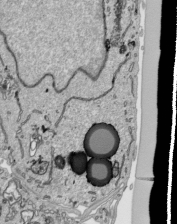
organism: Human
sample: Mitochondria in HCT116 cells